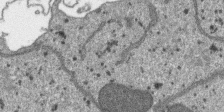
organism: Human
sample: Lung epithelial cells infected with SARS-CoV-2